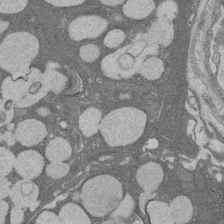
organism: Rat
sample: Salivary granule